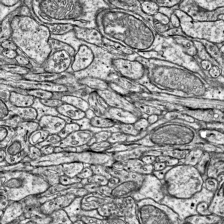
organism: Mouse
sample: Visual Cortex